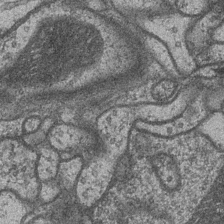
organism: Drosophila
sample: Optic medulla